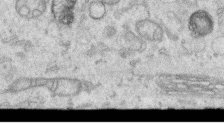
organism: Human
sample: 1205lu cells